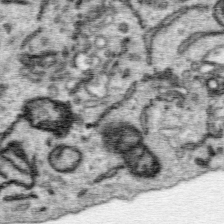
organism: Human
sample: HeLa cells